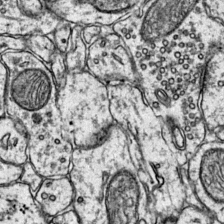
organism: Mouse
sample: Primary visual cortex